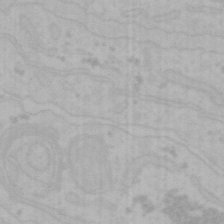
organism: Mouse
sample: Choroid plexus